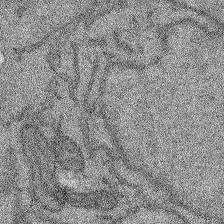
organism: Human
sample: HeLa cells